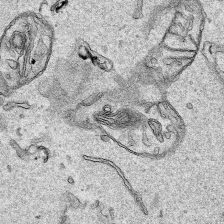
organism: Human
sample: Mitochondria in HCT116 cells